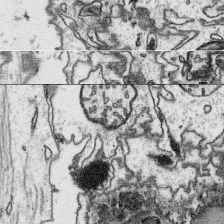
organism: Platynereis dumerilii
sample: Parapodia